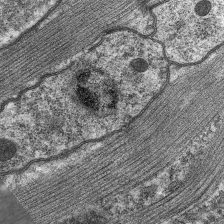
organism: C. elegans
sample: Pharynx